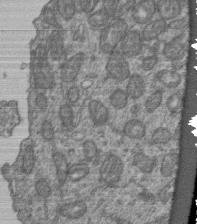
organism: Human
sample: Retinal organoid Rod and Cone cells